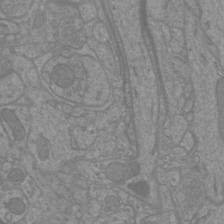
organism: Mouse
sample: Cortical neurons